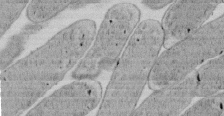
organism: E. coli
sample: Bacterial nucleoid